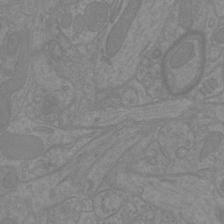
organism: Mouse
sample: Cortical neurons